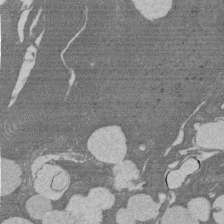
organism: Rat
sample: Salivary granule